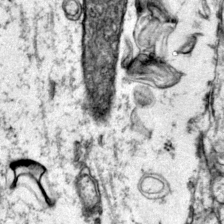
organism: Mouse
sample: Primary visual cortex